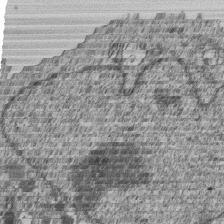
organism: Human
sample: MDA-MB-231 cells